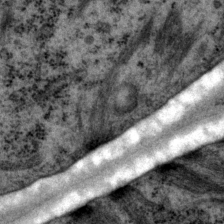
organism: P. pacificus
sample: Pharynx